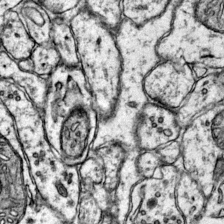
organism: Mouse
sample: Primary visual cortex